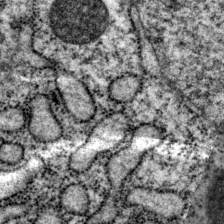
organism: P. pacificus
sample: Pharynx